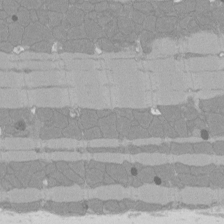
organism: Rat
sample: Left ventricle